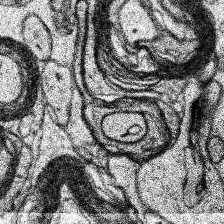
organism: Human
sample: Temporal Lobe